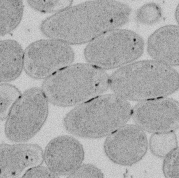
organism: E. coli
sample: Bacterial nucleoid